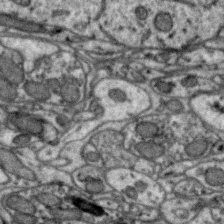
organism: Zebra finch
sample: Brain